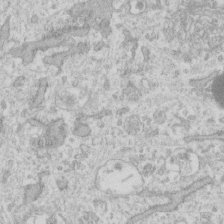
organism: Human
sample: Fibroblast cells